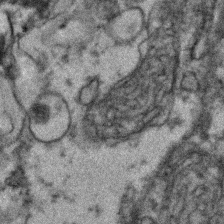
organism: Zebrafish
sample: Zebrafish embryo